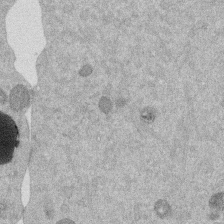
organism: Mouse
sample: Dividing mouse embryo 1 cell stage